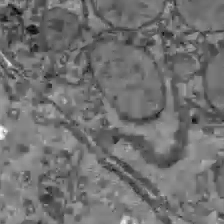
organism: C57BL Mouse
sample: Liver